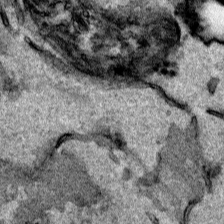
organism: Human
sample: Mitochondria in HCT116 cells